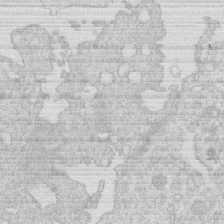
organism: Human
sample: Macrophage cells